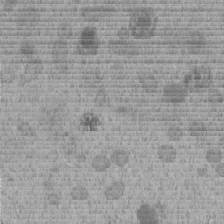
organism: C. elegans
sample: C. elegans embryo early stage